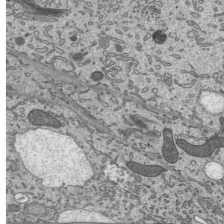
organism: Mouse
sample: Mouse epididymis efferent ductule cilia